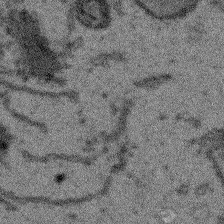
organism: Arabidopsis thaliana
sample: Root tip